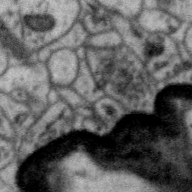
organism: Zebra finch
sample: Brain